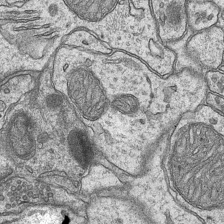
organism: Mouse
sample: CA1 Hippocampus